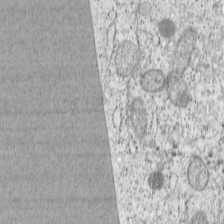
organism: African green monkey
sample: COS-7 cells